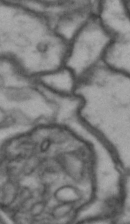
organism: Drosophila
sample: Brain